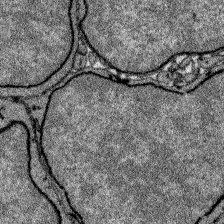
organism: Zebrafish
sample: Larval olfactory bulb